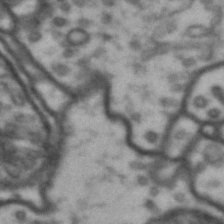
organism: Drosophila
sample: Brain